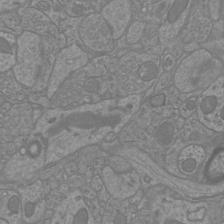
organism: Mouse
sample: Cortical neurons